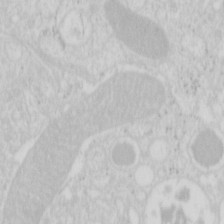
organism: Mouse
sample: Pancreas